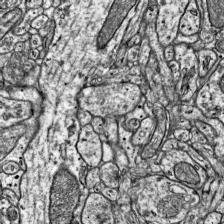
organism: Mouse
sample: Visual Cortex